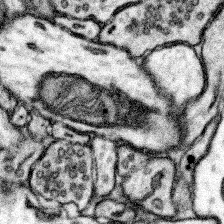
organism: Mouse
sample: Somatosensory cortex neuropil